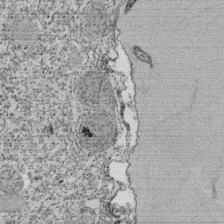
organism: Tetrahymena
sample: Cilia in tetrahymena